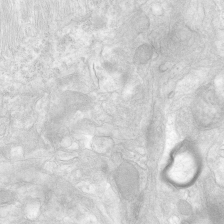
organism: Human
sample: Neocortex